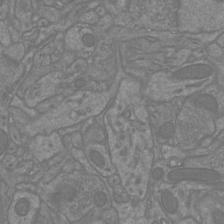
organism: Mouse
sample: Cortical neurons